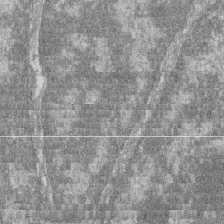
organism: Zebrafish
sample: Cilia; retinal pigment epithelium